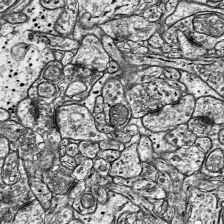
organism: Mouse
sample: Visual Cortex